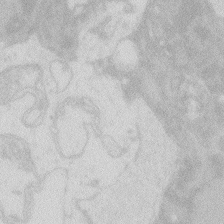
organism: Zebrafish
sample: Macrophage